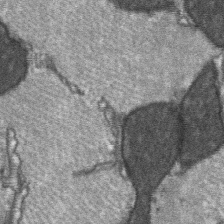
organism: C57BL Mouse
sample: Soleus